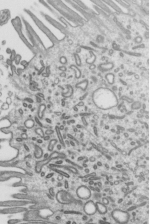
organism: Mouse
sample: Mouse epididymis efferent ductule cilia